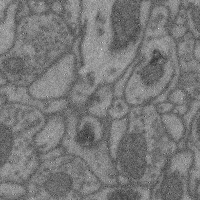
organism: Mouse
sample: Cerebral cortex